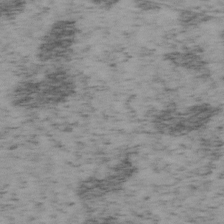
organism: Mouse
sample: OT-I killer T cells with ID8 ovarian cancer cells